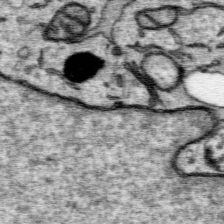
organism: Human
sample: HeLa cells